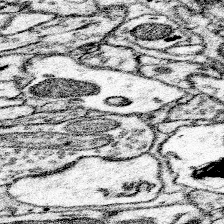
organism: Mouse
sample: Somatosensory cortex neuropil